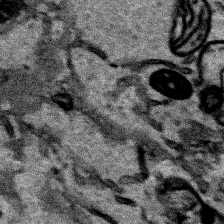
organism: Human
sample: Mitochondria in HCT116 cells